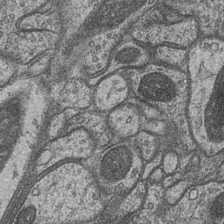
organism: Drosophila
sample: Optic medulla